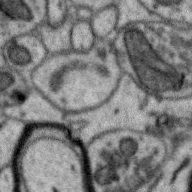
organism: Zebra finch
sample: Brain